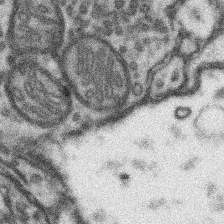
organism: Mouse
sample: Somatosensory cortex neuropil